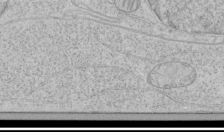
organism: Human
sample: Mitochondria in HCT116 cells